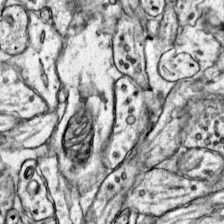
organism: Mouse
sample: Primary visual cortex